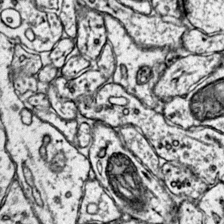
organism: Mouse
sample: Primary visual cortex